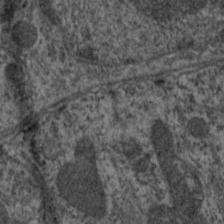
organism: C. elegans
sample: Pharynx